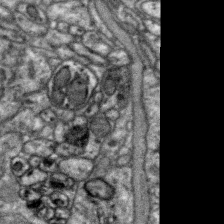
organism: Zebra finch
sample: Brain